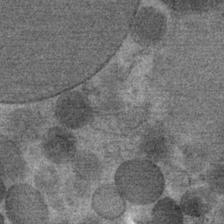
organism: Mouse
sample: Mouse Salivary gland